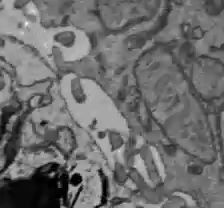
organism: C57BL Mouse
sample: Liver